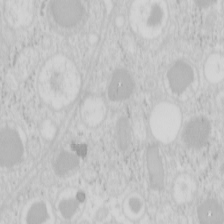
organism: Mouse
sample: Pancreas